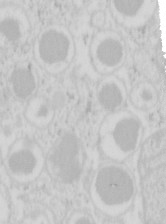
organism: Mouse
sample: Pancreas